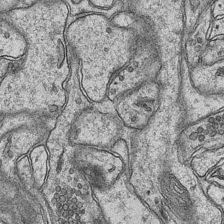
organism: Mouse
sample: CA1 Hippocampus